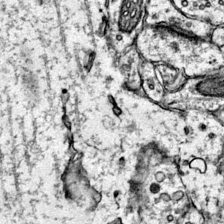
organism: Mouse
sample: Primary visual cortex